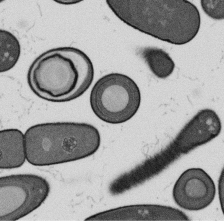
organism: B. subtilis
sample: Bacterial spore